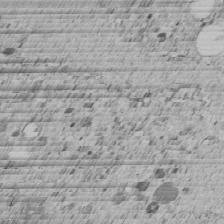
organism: C. elegans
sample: C. elegans embryo early stage